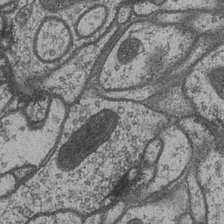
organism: Drosophila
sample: Optic medulla